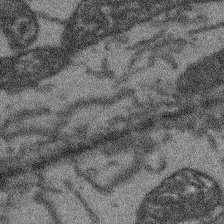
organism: Arabidopsis thaliana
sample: Root tip